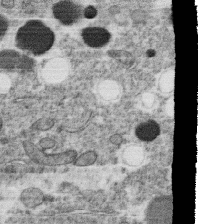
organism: C. elegans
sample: C. elegans oocyte; sperm cells